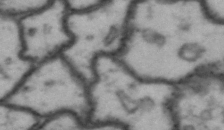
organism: Drosophila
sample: Brain